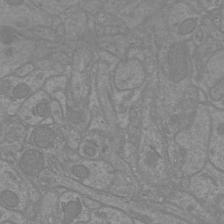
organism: Mouse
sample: Cortical neurons